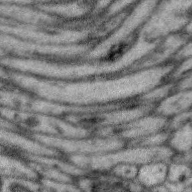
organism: Zebra finch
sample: Brain